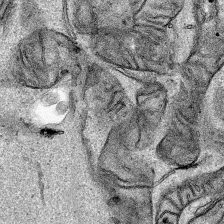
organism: Human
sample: Mitochondria in HCT116 cells